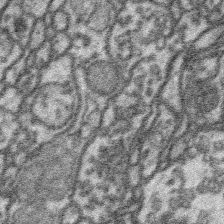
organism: Platynereis dumerilii